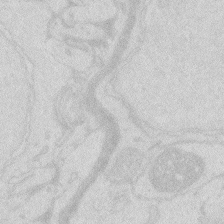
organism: Zebrafish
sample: Macrophage